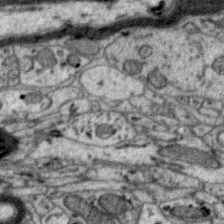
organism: Zebra finch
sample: Brain